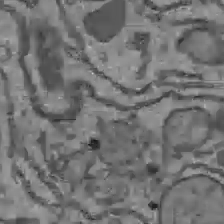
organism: C57BL Mouse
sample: Liver